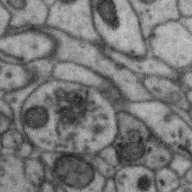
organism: Zebra finch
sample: Brain